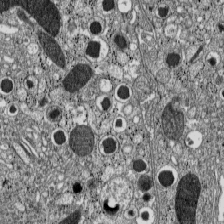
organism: C57BL Mouse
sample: Pancreatic islet